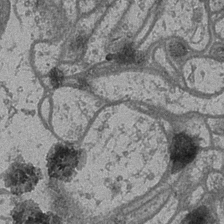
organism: Drosophila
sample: Optic medulla